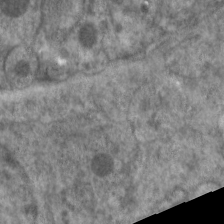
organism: C. elegans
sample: Pharynx